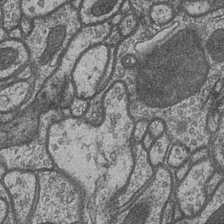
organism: Drosophila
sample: Optic medulla